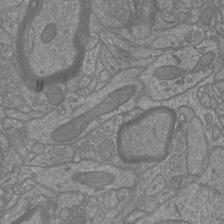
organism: Mouse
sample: Cortical neurons